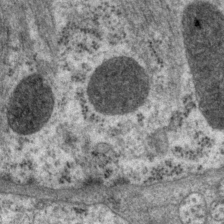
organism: P. pacificus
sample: Pharynx